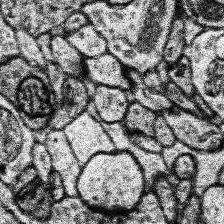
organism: Human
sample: Temporal Lobe